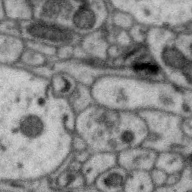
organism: Zebra finch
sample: Brain